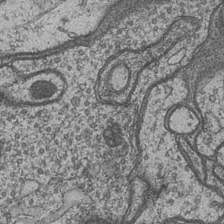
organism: Drosophila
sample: Optic medulla